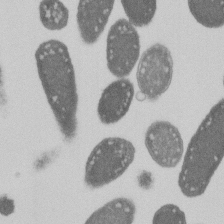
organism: E. coli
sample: Bacterial nucleoid